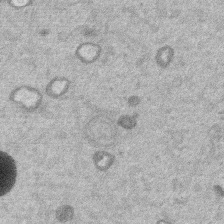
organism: Mouse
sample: Dividing mouse embryo 1 cell stage